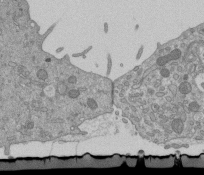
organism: Mouse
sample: ED-1 cell nuclei; centrioles